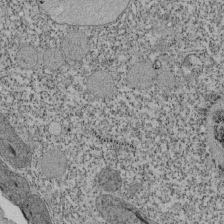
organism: Tetrahymena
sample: Cilia in tetrahymena